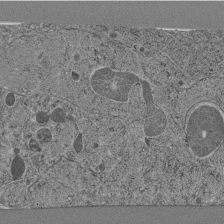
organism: C. elegans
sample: C. elegans pharynx